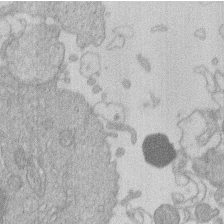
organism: Human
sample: Macrophage cells